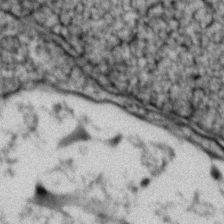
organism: Zebrafish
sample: Zebrafish embryo